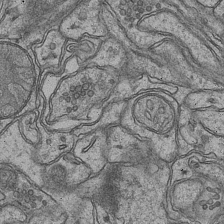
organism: Mouse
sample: CA1 Hippocampus